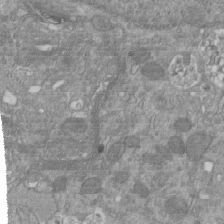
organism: Mouse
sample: ED-1 cell nuclei; centrioles